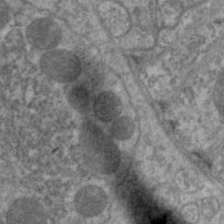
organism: C. elegans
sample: Pharynx